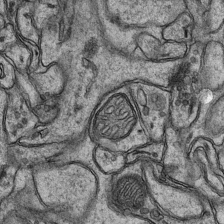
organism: Mouse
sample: CA1 Hippocampus